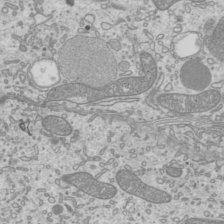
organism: Mouse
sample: Cilia; mouse epididymis